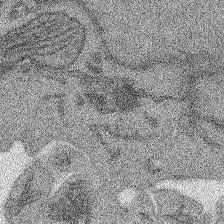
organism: Human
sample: HeLa cells